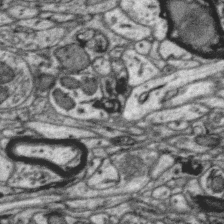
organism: Zebra finch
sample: Brain